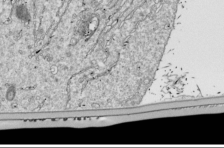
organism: Drosophila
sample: Cell division; meiosis; drosophila spermatocytes